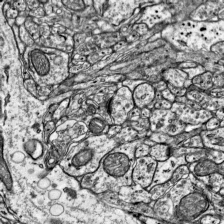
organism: Mouse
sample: Visual Cortex